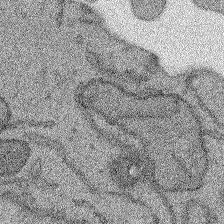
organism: Human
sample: HeLa cells